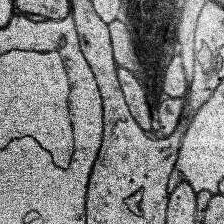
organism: Human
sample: Temporal Lobe